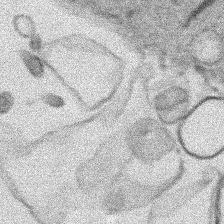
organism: Human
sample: Mitochondria in HCT116 cells